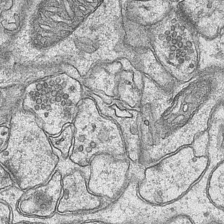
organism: Mouse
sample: CA1 Hippocampus